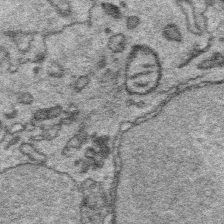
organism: Platynereis dumerilii